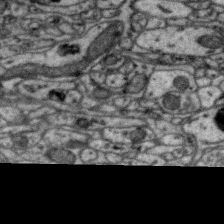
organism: Zebra finch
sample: Brain